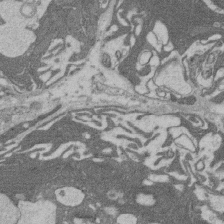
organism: Rat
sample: Salivary granule